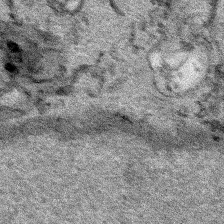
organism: Human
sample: Mitochondria in HCT116 cells